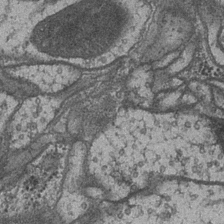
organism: Drosophila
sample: Optic medulla